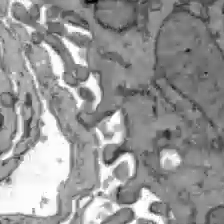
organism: C57BL Mouse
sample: Liver